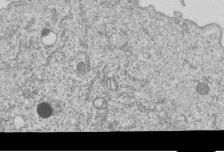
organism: Human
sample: MDA-MB-231 cells